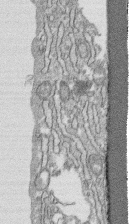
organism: Human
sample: CRL-1474